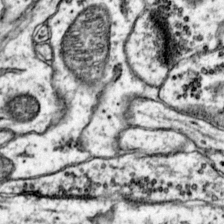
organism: Mouse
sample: Primary visual cortex